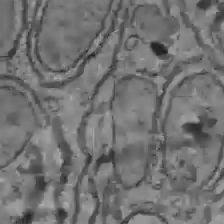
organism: C57BL Mouse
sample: Liver